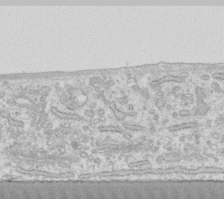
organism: Human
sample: Fibroblast cells